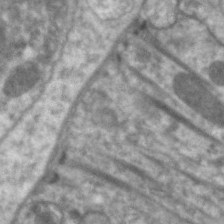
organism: C. elegans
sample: Pharynx